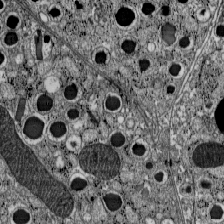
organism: C57BL Mouse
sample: Pancreatic islet